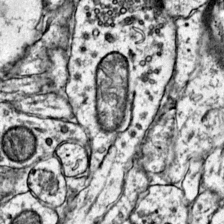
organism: Mouse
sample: Primary visual cortex